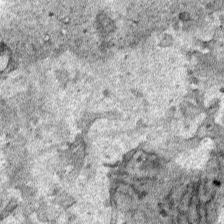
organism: Human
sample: Mitochondria in HCT116 cells